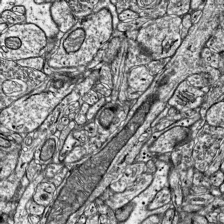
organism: Mouse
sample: Visual Cortex